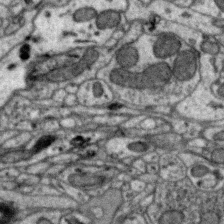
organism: Zebra finch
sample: Brain